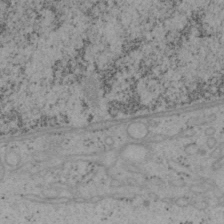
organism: Human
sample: HeLa cells